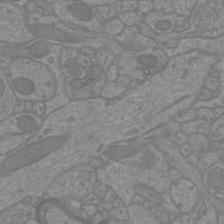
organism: Mouse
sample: Cortical neurons